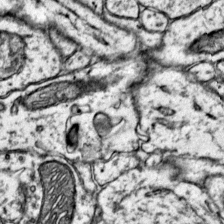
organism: Mouse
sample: Primary visual cortex